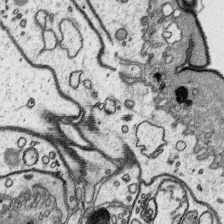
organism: Platynereis dumerilii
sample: Parapodia